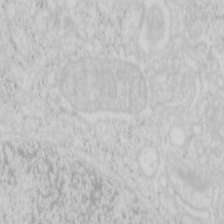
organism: Mouse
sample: Pancreas